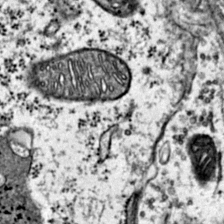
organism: Mouse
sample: Primary visual cortex